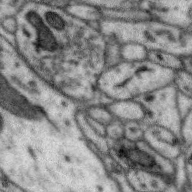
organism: Zebra finch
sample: Brain